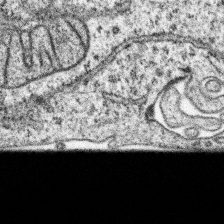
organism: Human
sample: HeLa cells